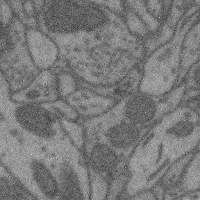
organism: Mouse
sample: Cerebral cortex